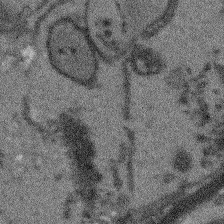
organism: Arabidopsis thaliana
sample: Root tip